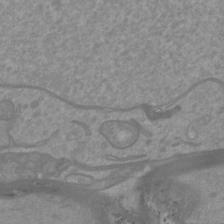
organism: Mouse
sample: Cortical neurons